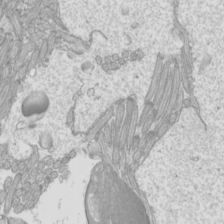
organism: Mouse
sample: Cilia; mouse epididymis